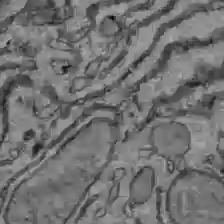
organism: C57BL Mouse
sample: Liver